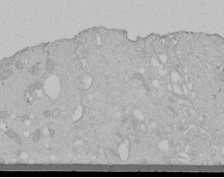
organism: Human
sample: Melanocyte Keratinocyte synapse skin construct